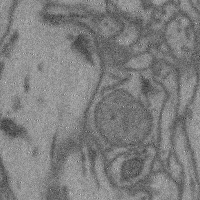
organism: Mouse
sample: Cerebral cortex